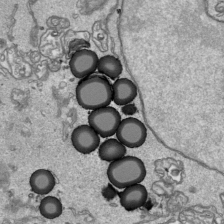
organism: Human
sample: Mitochondria in HCT116 cells